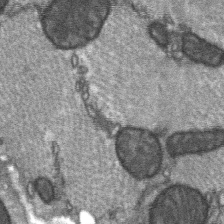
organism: C57BL Mouse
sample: Soleus